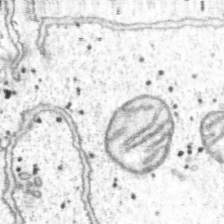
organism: Human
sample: HeLa cells